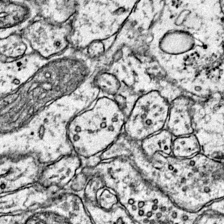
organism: Mouse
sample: Primary visual cortex